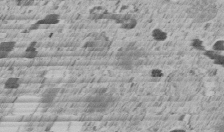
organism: C. elegans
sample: C. elegans embryo early stage